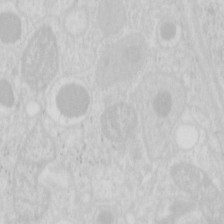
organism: Mouse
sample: Pancreas